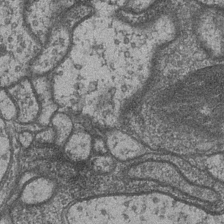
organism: Drosophila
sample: Optic medulla